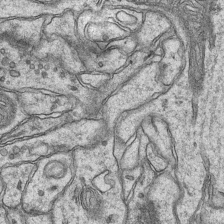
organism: Mouse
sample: CA1 Hippocampus